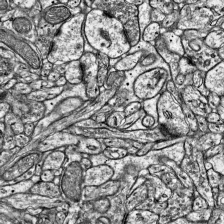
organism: Mouse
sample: Visual Cortex